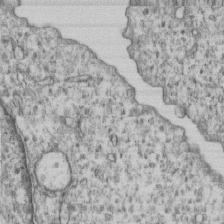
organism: Human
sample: MDA-MB-231 cells